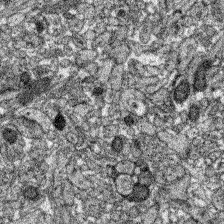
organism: Zebrafish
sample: Larval olfactory bulb